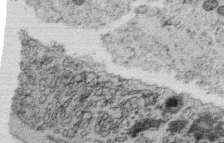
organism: C. elegans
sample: C. elegans oocyte; sperm cells